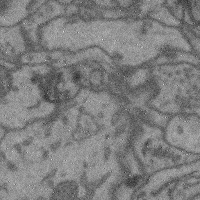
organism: Mouse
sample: Cerebral cortex